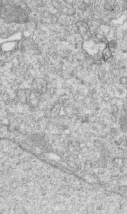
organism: Human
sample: HeLa cell HIV synapse